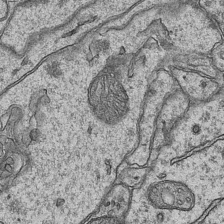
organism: Mouse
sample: CA1 Hippocampus